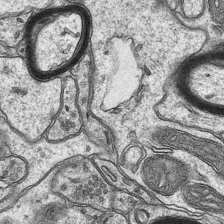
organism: Mouse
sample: CA1 Hippocampus